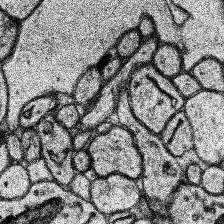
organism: Human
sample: Temporal Lobe